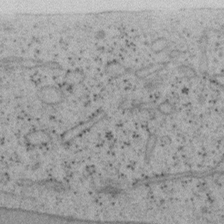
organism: Human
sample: HeLa cells